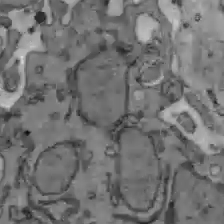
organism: C57BL Mouse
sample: Liver